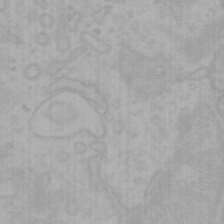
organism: Mouse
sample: Choroid plexus